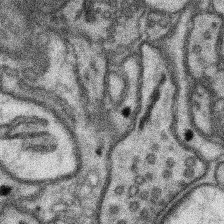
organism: Mouse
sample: Somatosensory cortex neuropil